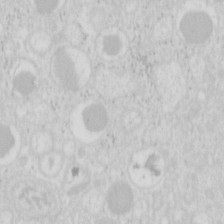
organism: Mouse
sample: Pancreas